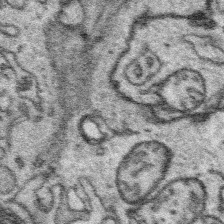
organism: Platynereis dumerilii